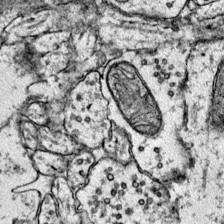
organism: Mouse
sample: Primary visual cortex